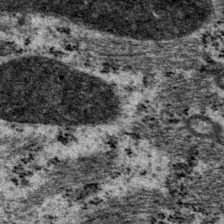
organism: P. pacificus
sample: Pharynx